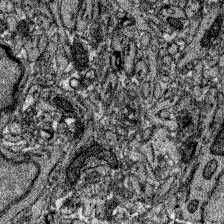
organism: Zebrafish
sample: Larval olfactory bulb